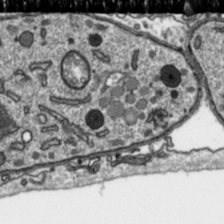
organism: Toxoplasma gondii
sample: Parasites in a vacuole inside a host cell